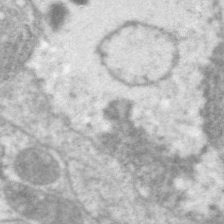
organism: C. elegans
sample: Pharynx